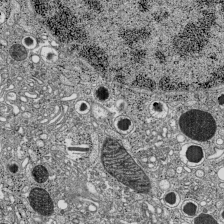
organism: C57BL Mouse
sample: Pancreatic islet